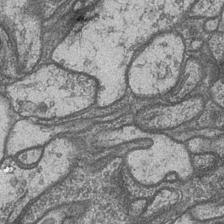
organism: Drosophila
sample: Optic medulla